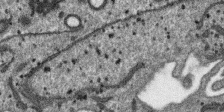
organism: Human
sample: Lung epithelial cells infected with SARS-CoV-2